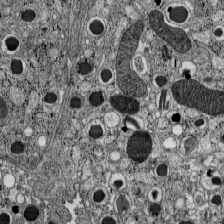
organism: C57BL Mouse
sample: Pancreatic islet